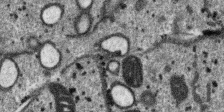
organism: Human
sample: Lung epithelial cells infected with SARS-CoV-2